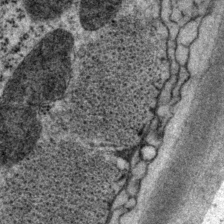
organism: P. pacificus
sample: Pharynx